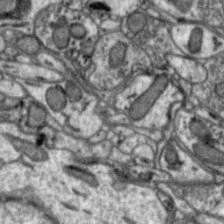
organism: Zebra finch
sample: Brain